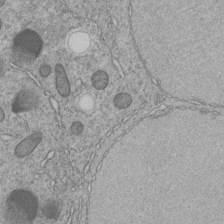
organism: C. elegans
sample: C. elegans embryo early stage